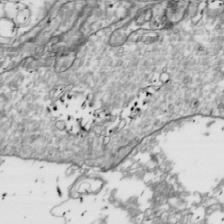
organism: Drosophila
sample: Cell division; meiosis; drosophila spermatocytes